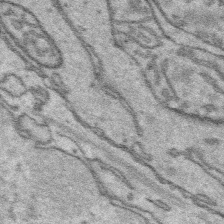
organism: Platynereis dumerilii